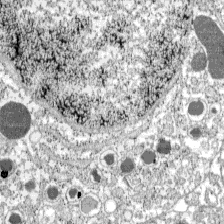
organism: C57BL Mouse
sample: Pancreatic islet